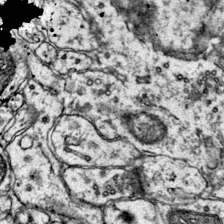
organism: Mouse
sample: Primary visual cortex